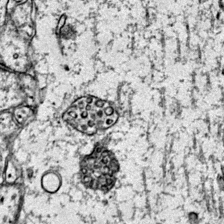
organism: Mouse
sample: Primary visual cortex